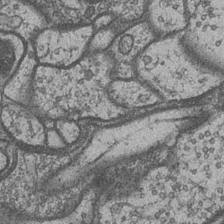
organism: Drosophila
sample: Optic medulla